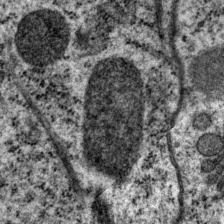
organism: P. pacificus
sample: Pharynx